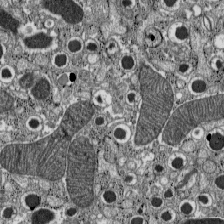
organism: C57BL Mouse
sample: Pancreatic islet